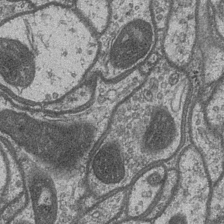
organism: Drosophila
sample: Optic medulla